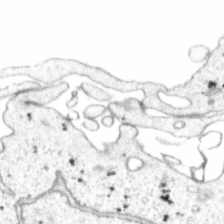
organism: Human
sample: HeLa cells